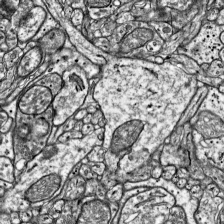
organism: Mouse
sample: Visual Cortex